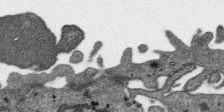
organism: Human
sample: Lung epithelial cells, uninfected (mock) control